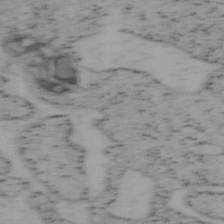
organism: Mouse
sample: OT-I killer T cells with ID8 ovarian cancer cells